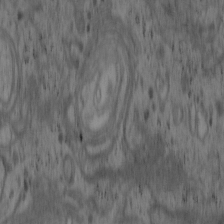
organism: Human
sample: HeLa cells